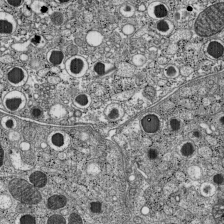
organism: C57BL Mouse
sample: Pancreatic islet